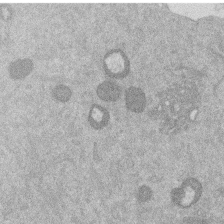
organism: Mouse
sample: Dividing mouse embryo 1 cell stage